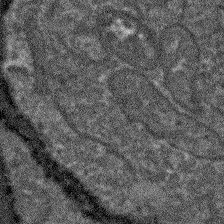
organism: Arabidopsis thaliana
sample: Root tip